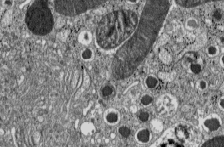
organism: C57BL Mouse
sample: Pancreatic islet